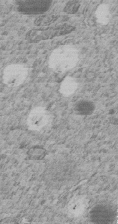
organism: C. elegans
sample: C. elegans embryo early stage